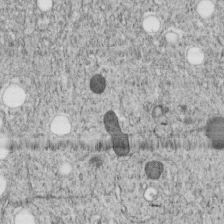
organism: C. elegans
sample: C. elegans embryo early stage